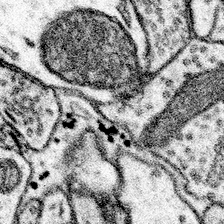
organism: Mouse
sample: Somatosensory cortex neuropil